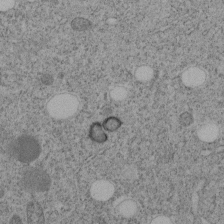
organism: C. elegans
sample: C. elegans embryo early stage